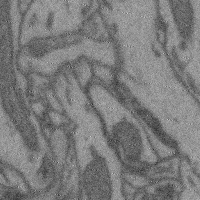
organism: Mouse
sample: Cerebral cortex